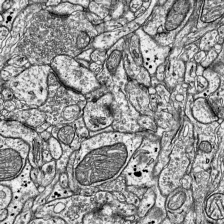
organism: Mouse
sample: Visual Cortex